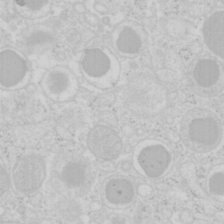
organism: Mouse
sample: Pancreas